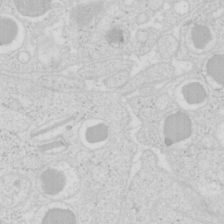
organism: Mouse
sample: Pancreas